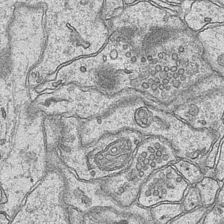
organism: Mouse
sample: CA1 Hippocampus